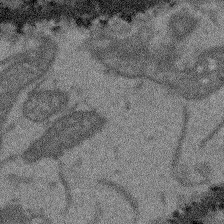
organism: Arabidopsis thaliana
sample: Root tip